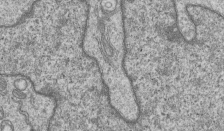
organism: Human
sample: MDA-MB-231 cells